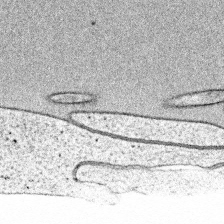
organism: Human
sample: HeLa cells